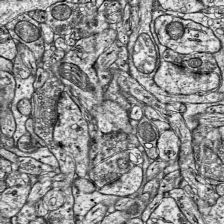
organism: Mouse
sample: Visual Cortex